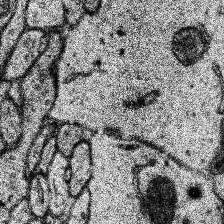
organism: Human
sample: Temporal Lobe